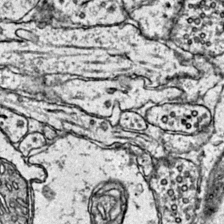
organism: Mouse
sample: Primary visual cortex